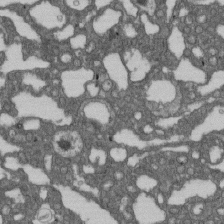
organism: Drosophila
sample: Nephrocyte